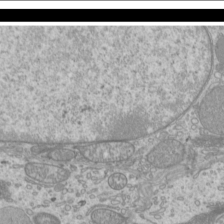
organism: Mouse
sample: Cilia; mouse epididymis